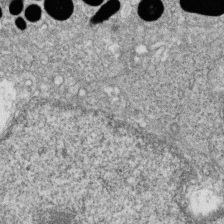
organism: Zebrafish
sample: Cilia; retinal pigment epithelium